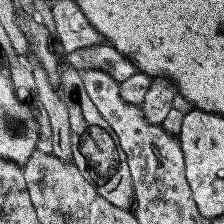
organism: Human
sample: Temporal Lobe